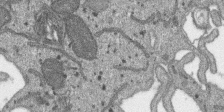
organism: Human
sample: Lung epithelial cells infected with SARS-CoV-2